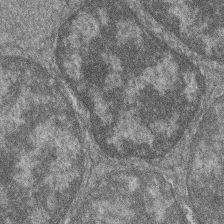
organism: Zebrafish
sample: Cilia; retinal pigment epithelium